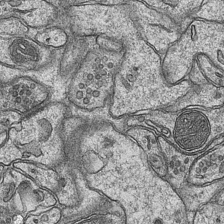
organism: Mouse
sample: CA1 Hippocampus